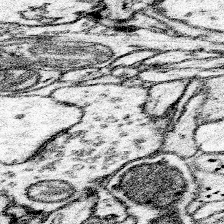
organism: Mouse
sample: Somatosensory cortex neuropil